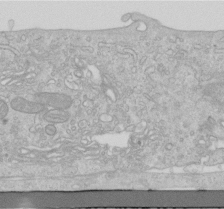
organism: Human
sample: Centriole in RPE cells